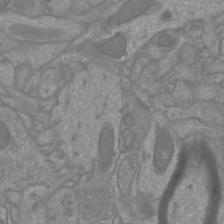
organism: Mouse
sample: Cortical neurons